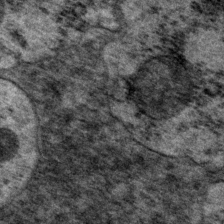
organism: P. pacificus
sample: Pharynx